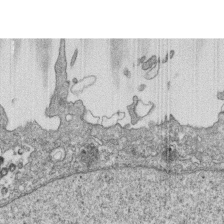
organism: Human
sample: HeLa cell HIV synapse